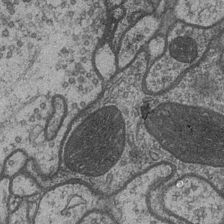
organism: Drosophila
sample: Optic medulla